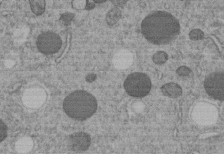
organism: C. elegans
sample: C. elegans embryo early stage